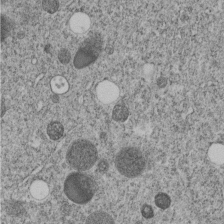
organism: C. elegans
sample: C. elegans embryo early stage